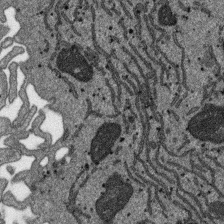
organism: Human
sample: Lung epithelial cells infected with SARS-CoV-2